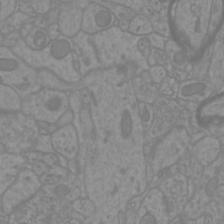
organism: Mouse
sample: Cortical neurons